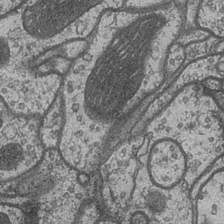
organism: Drosophila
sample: Optic medulla